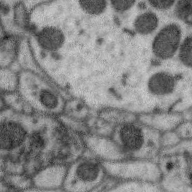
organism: Zebra finch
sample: Brain